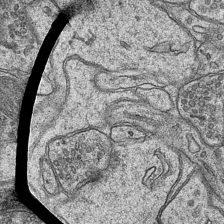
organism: Mouse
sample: CA1 Hippocampus